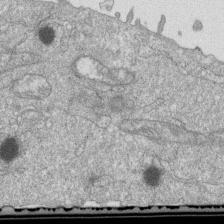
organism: Human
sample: HeLa cell HIV synapse